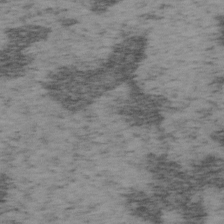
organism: Mouse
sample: OT-I killer T cells with ID8 ovarian cancer cells